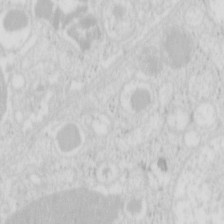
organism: Mouse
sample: Pancreas